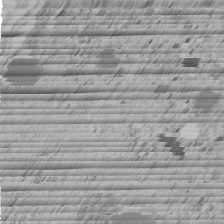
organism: C. elegans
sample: C. elegans embryo early stage